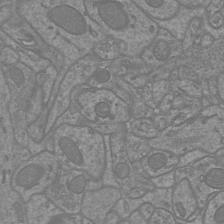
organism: Mouse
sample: Cortical neurons